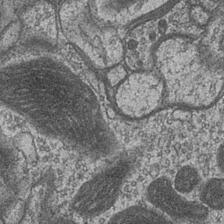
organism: Drosophila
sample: Optic medulla